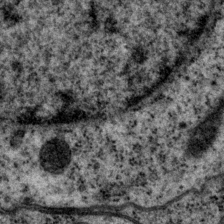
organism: P. pacificus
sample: Pharynx